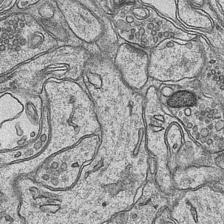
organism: Mouse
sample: CA1 Hippocampus